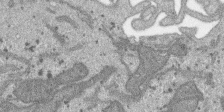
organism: Human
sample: Lung epithelial cells infected with SARS-CoV-2